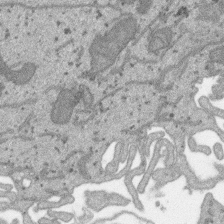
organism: Human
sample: Lung epithelial cells infected with SARS-CoV-2